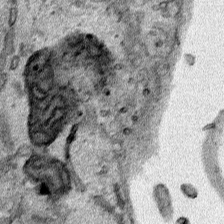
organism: Human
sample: Mitochondria in HCT116 cells